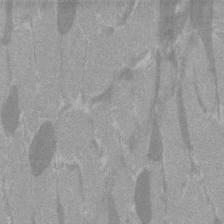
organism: C57BL Mouse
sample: Tibialis anterior muscle cell